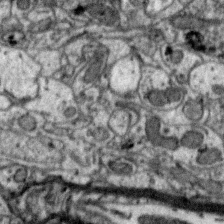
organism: Zebra finch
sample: Brain